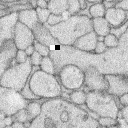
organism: Rabbit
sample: Retina